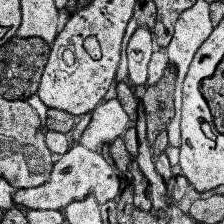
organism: Human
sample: Temporal Lobe